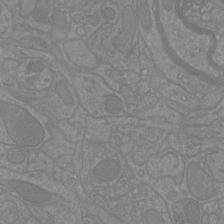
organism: Mouse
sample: Cortical neurons